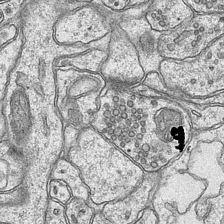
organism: Mouse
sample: CA1 Hippocampus